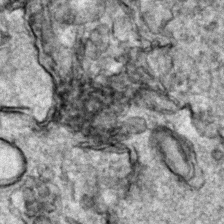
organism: Zebrafish